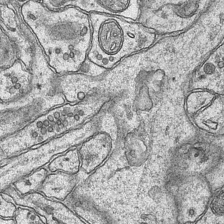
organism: Mouse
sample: CA1 Hippocampus